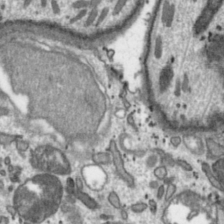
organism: Toxoplasma gondii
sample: Parasites in a vacuole inside a host cell